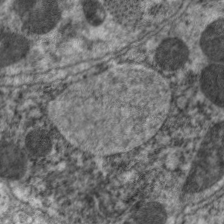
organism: C. elegans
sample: Pharynx